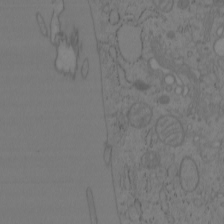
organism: Human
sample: HeLa cells